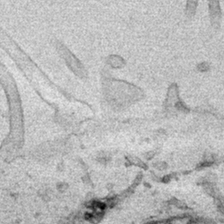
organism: Human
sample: Mitochondria in HCT116 cells